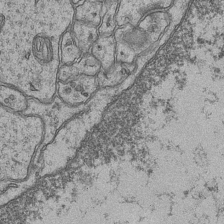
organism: Mouse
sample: CA1 Hippocampus